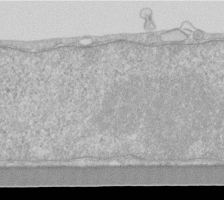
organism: Human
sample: Fibroblast cells